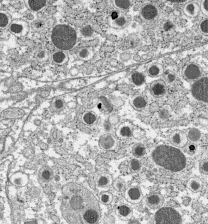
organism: C57BL Mouse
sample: Pancreatic islet